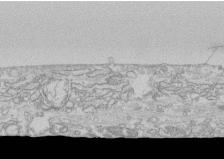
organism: Human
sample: CRL-1474